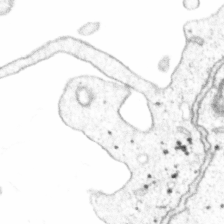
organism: Human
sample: HeLa cells